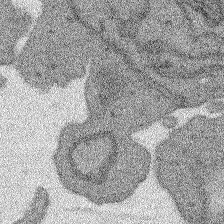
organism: Human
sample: HeLa cells